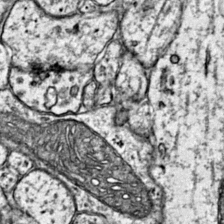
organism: Mouse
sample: Primary visual cortex